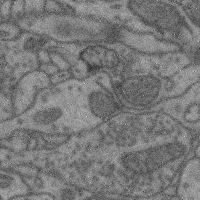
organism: Mouse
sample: Cerebral cortex